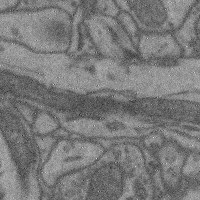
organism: Mouse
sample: Cerebral cortex